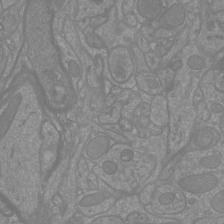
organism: Mouse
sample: Cortical neurons